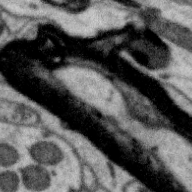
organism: Zebra finch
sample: Brain